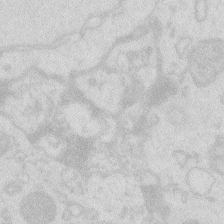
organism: Zebrafish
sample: Macrophage